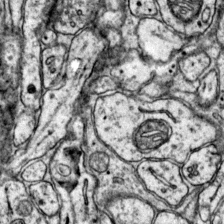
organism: Mouse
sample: Primary visual cortex